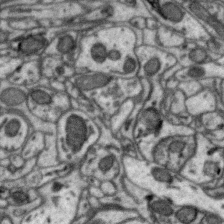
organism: Zebra finch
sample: Brain